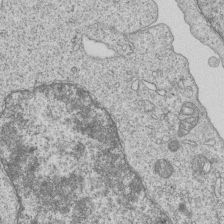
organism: Human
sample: MDA-MB-231 cells